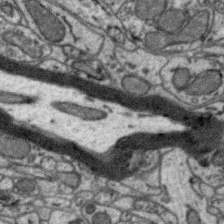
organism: Zebra finch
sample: Brain